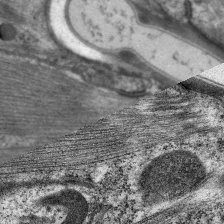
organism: C. elegans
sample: Pharynx